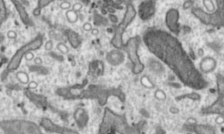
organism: Toxoplasma gondii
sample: Parasites in a vacuole inside a host cell